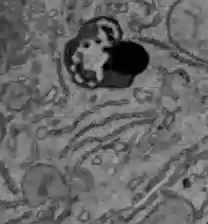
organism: C57BL Mouse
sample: Liver